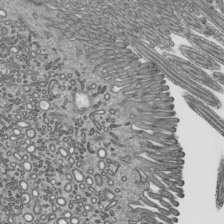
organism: Mouse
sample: Mouse epididymis efferent ductule cilia